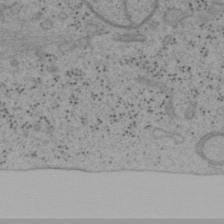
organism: Human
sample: HeLa cells